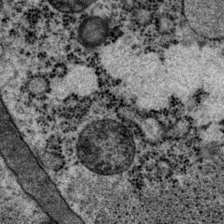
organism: P. pacificus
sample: Pharynx